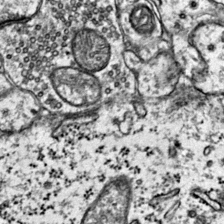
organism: Mouse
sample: Primary visual cortex